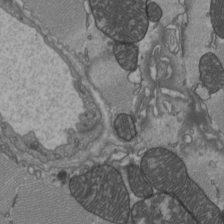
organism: C57BL Mouse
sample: Heart